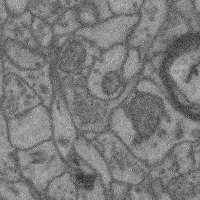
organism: Mouse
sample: Cerebral cortex